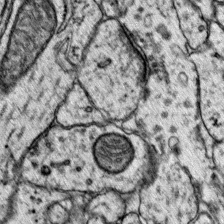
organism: Mouse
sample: Primary visual cortex